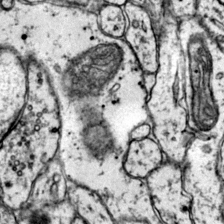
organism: Mouse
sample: Primary visual cortex